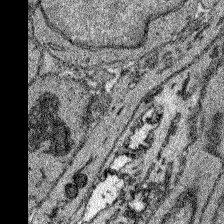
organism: Zebrafish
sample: Larval olfactory bulb